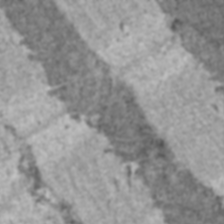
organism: C57BL Mouse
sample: Heart